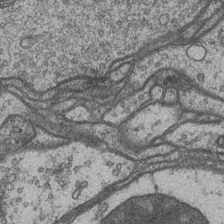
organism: Drosophila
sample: Optic medulla